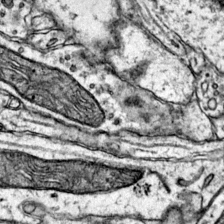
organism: Mouse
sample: Primary visual cortex